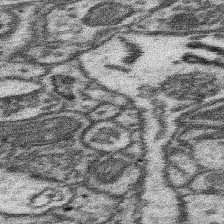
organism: Mouse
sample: Somatosensory cortex neuropil